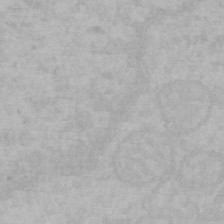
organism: Mouse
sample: Choroid plexus